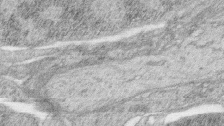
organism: Zebrafish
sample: synaptic ribbons in rod cells and cone cells